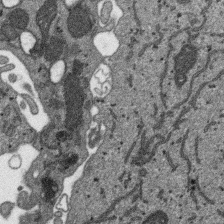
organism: Human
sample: Lung epithelial cells infected with SARS-CoV-2